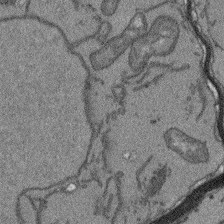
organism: Arabidopsis thaliana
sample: Root tip